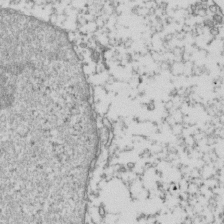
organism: Human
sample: Activated Jurkat CD4+ T cells